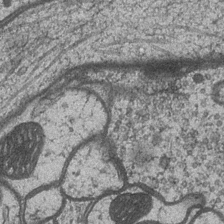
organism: Drosophila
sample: Optic medulla